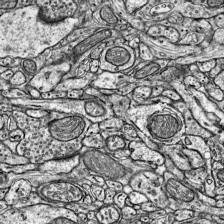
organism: Mouse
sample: Visual Cortex